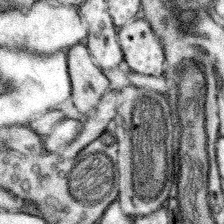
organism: Mouse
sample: Somatosensory cortex neuropil